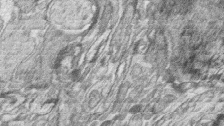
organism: Zebrafish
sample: synaptic ribbons in rod cells and cone cells